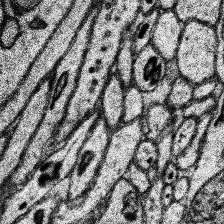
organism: Human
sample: Temporal Lobe